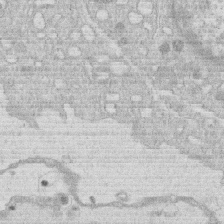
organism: Human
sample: Macrophage cells